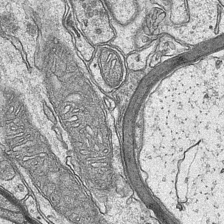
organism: Mouse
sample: CA1 Hippocampus